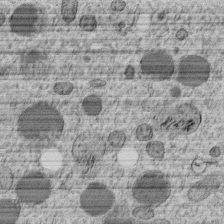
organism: C. elegans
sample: C. elegans embryo early stage